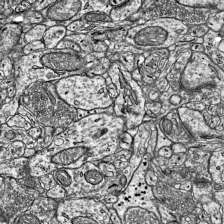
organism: Mouse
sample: Visual Cortex